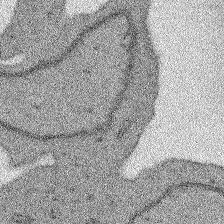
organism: Human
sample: HeLa cells